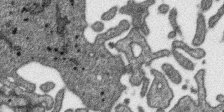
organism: Human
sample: Lung epithelial cells infected with SARS-CoV-2